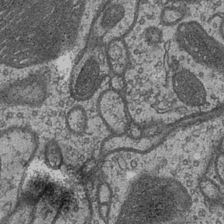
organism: Drosophila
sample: Optic medulla